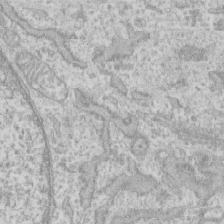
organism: Human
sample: CRL-1474